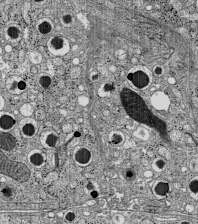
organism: C57BL Mouse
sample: Pancreatic islet